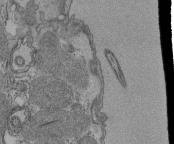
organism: Tetrahymena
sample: Cilia in tetrahymena